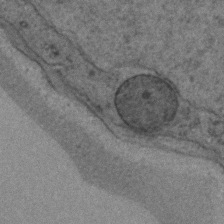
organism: C. elegans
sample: C. elegans embryo